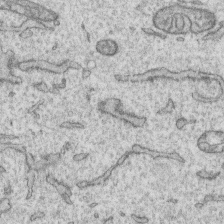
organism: Human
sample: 1205lu cells